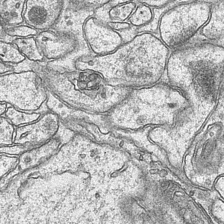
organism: Mouse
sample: CA1 Hippocampus